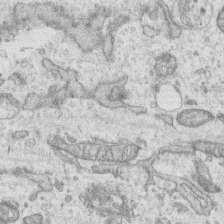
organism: Human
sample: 1205lu cells